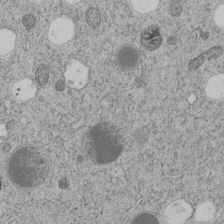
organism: C. elegans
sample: C. elegans embryo early stage